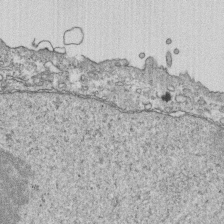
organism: Human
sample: HeLa cell HIV synapse